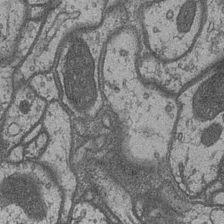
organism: Drosophila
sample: Optic medulla